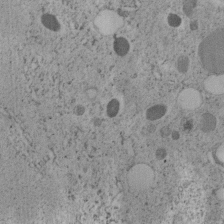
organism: C. elegans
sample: C. elegans embryo early stage